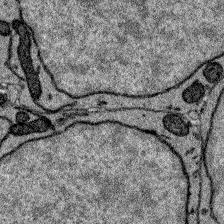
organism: Zebrafish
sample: Larval olfactory bulb